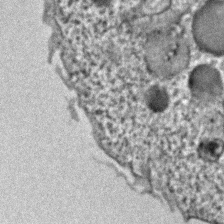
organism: C. elegans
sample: C. elegans embryo